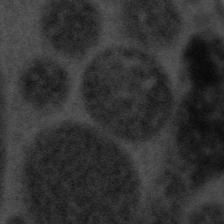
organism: Tuwongella immobilis